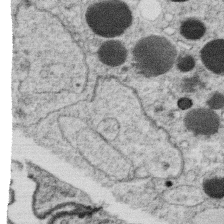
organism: C. elegans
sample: C. elegans oocyte; sperm cells